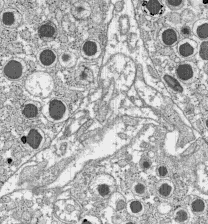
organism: C57BL Mouse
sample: Pancreatic islet